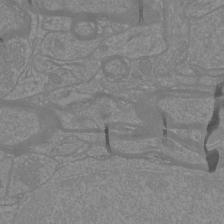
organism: Mouse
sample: Cortical neurons